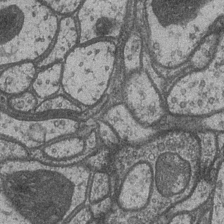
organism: Drosophila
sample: Optic medulla